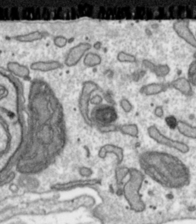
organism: Toxoplasma gondii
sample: Parasites in a vacuole inside a host cell